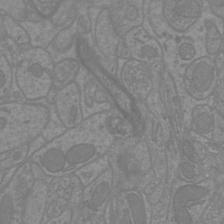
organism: Mouse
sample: Cortical neurons